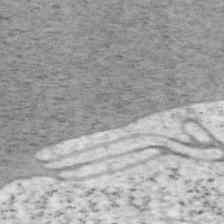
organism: Mouse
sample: OT-I killer T cells with ID8 ovarian cancer cells